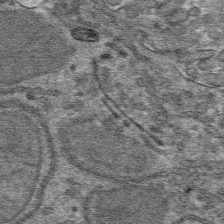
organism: Mouse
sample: Mouse hepatocytes